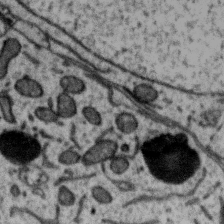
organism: Zebra finch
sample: Brain